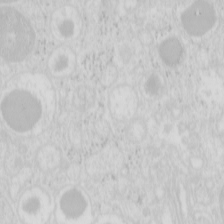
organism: Mouse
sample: Pancreas